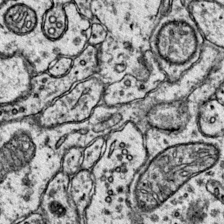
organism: Mouse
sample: Primary visual cortex